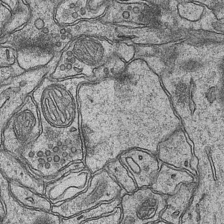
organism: Mouse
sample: CA1 Hippocampus